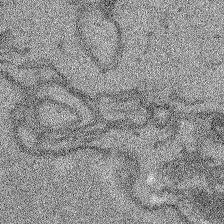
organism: Human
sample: HeLa cells